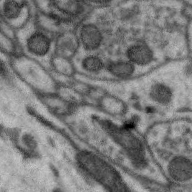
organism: Zebra finch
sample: Brain